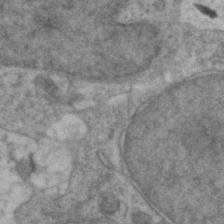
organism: Zebrafish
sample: Zebrafish embryo